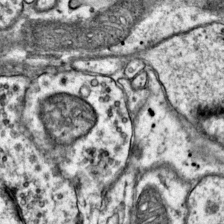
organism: Mouse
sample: Primary visual cortex